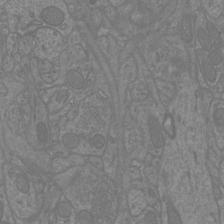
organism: Mouse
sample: Cortical neurons